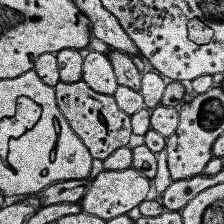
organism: Human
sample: Temporal Lobe